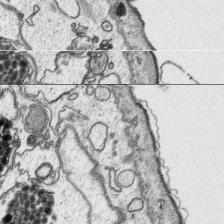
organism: Platynereis dumerilii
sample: Parapodia